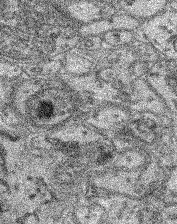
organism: Mouse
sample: Retina